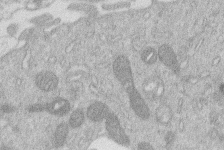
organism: Human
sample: Macrophage cells